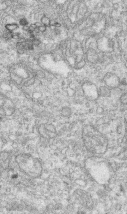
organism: Human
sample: HeLa cell HIV synapse